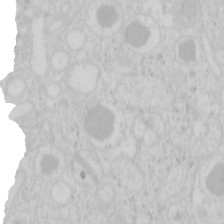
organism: Mouse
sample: Pancreas